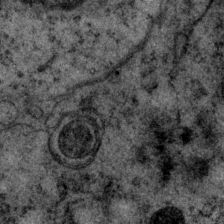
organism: P. pacificus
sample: Pharynx